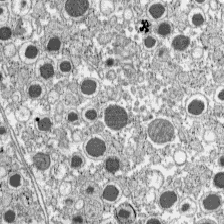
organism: C57BL Mouse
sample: Pancreatic islet